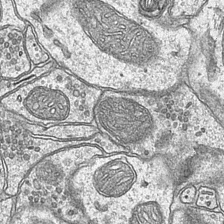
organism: Mouse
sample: CA1 Hippocampus